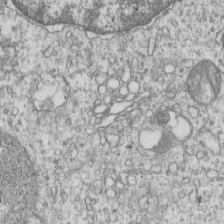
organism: Human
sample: MDA-MB-231 cells